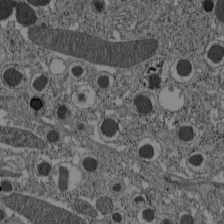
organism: C57BL Mouse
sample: Pancreatic islet